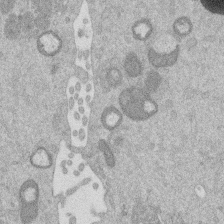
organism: Mouse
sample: Dividing mouse embryo 1 cell stage